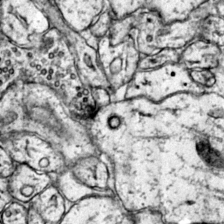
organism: Mouse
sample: Primary visual cortex